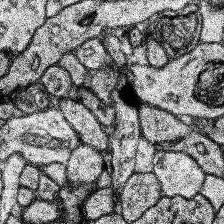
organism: Human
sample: Temporal Lobe